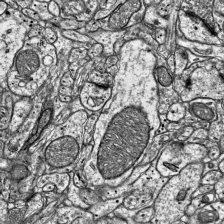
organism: Mouse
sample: Visual Cortex